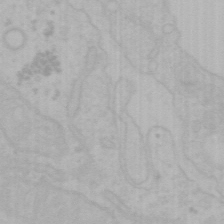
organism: Mouse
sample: Choroid plexus